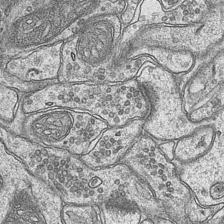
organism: Mouse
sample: CA1 Hippocampus